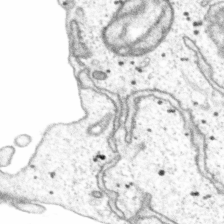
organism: Human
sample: HeLa cells